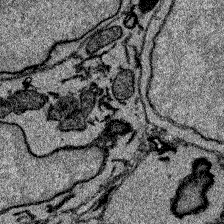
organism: Zebrafish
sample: Larval olfactory bulb